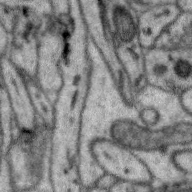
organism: Zebra finch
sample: Brain